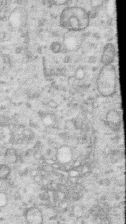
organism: Human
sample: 1205lu cells